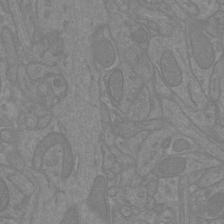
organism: Mouse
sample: Cortical neurons